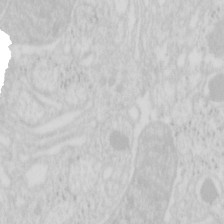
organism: Mouse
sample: Pancreas